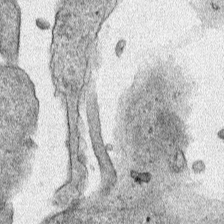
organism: Human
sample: Mitochondria in HCT116 cells